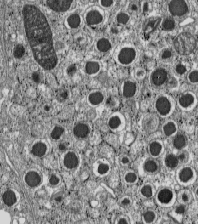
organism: C57BL Mouse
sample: Pancreatic islet